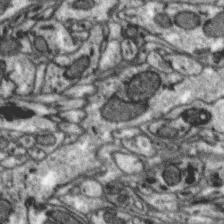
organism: Zebra finch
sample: Brain